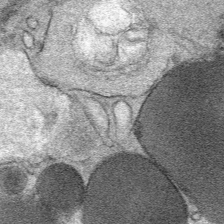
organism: Mouse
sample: Mouse Salivary gland